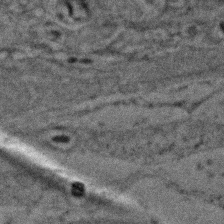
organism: Zebrafish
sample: Zebrafish embryo